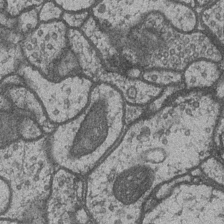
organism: Drosophila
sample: Optic medulla